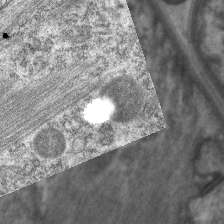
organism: C. elegans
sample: Pharynx